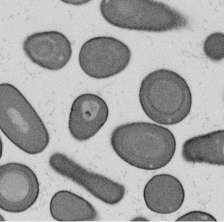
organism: B. subtilis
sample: Bacterial spore